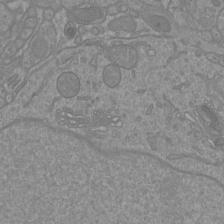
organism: Mouse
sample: Cortical neurons